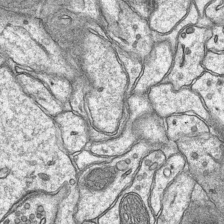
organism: Mouse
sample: CA1 Hippocampus